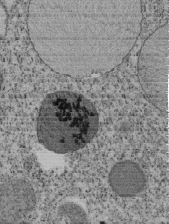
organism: Tetrahymena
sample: Cilia in tetrahymena